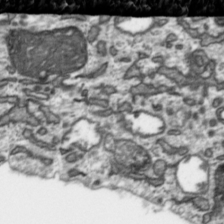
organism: Toxoplasma gondii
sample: Parasites in a vacuole inside a host cell